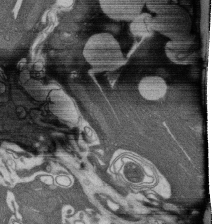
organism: Rat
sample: Salivary granule